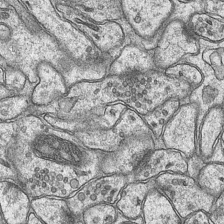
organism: Mouse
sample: CA1 Hippocampus